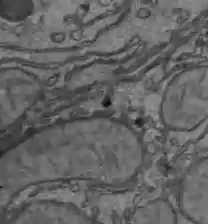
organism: C57BL Mouse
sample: Liver